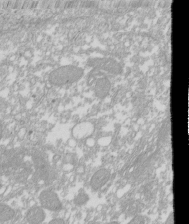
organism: Xenopus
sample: Cilia; centrioles in frog embryo cells